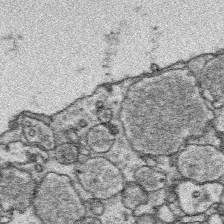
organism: Platynereis dumerilii